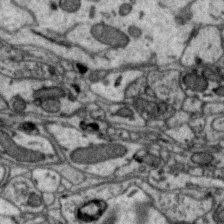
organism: Zebra finch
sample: Brain